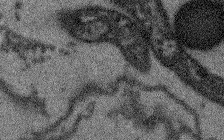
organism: Arabidopsis thaliana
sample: Root tip